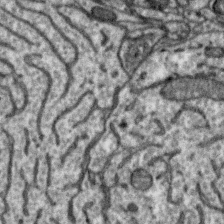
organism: Zebra finch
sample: Brain